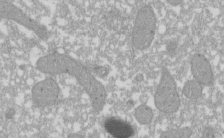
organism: Xenopus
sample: Cilia; centrioles in frog embryo cells